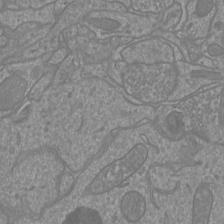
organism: Mouse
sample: Cortical neurons